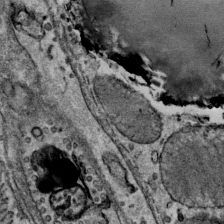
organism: Mouse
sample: Mouse Salivary gland